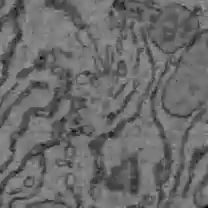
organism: C57BL Mouse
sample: Liver